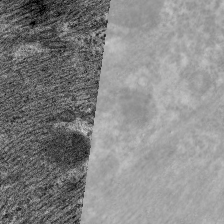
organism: C. elegans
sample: Pharynx